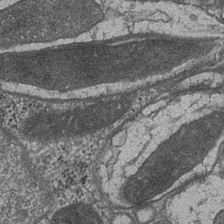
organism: Drosophila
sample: Optic medulla